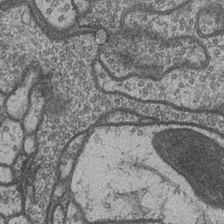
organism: Drosophila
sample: Optic medulla